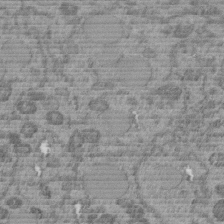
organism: C. elegans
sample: C. elegans embryo early stage